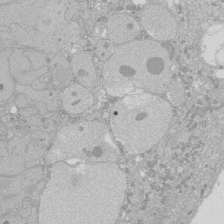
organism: Human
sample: Caco-2 cells